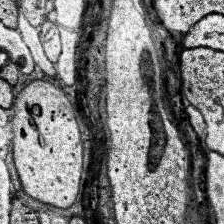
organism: Human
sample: Temporal Lobe